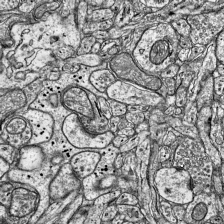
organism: Mouse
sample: Visual Cortex